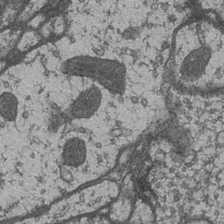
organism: Drosophila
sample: Optic medulla